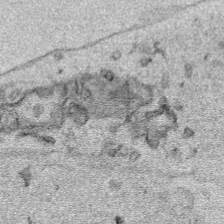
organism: Human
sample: Mitochondria in HCT116 cells